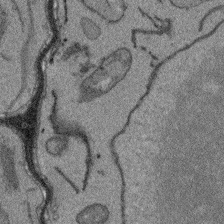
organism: Arabidopsis thaliana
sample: Root tip